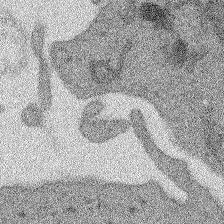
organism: Human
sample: HeLa cells